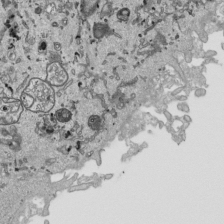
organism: Human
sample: Mitochondria in HCT116 cells